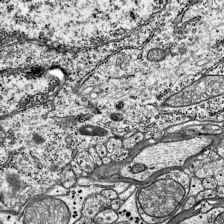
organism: Mouse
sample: Visual Cortex